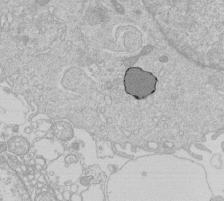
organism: Human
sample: Macrophage cells